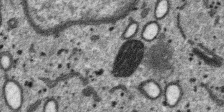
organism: Human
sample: Lung epithelial cells infected with SARS-CoV-2